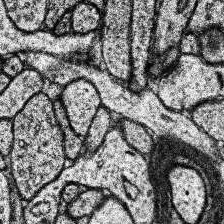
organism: Human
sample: Temporal Lobe